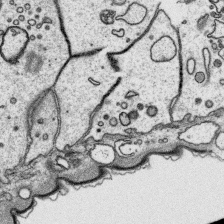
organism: Platynereis dumerilii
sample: Parapodia